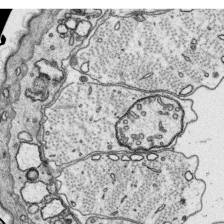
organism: Platynereis dumerilii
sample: Parapodia